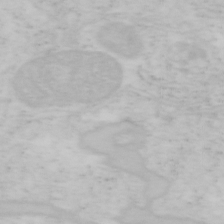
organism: Mouse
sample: OT-I killer T cells with ID8 ovarian cancer cells